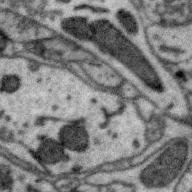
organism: Zebra finch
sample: Brain